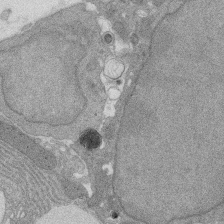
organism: Rat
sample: Salivary granule